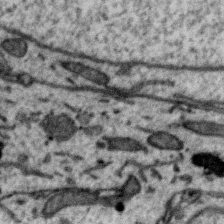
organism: Zebra finch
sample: Brain